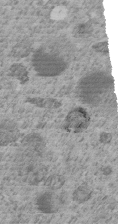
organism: C. elegans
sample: C. elegans embryo early stage